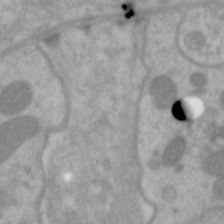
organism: C. elegans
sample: Pharynx